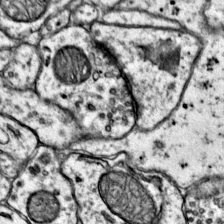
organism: Mouse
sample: Primary visual cortex